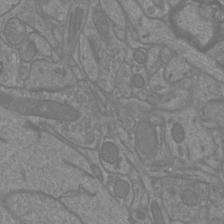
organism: Mouse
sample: Cortical neurons